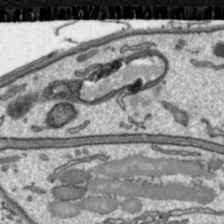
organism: Toxoplasma gondii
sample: Parasites in a vacuole inside a host cell